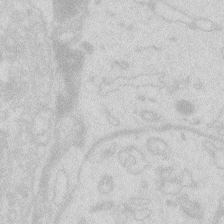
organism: Zebrafish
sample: Macrophage